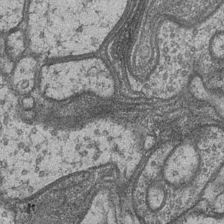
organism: Drosophila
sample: Optic medulla